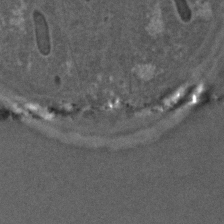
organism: C. elegans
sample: C. elegans embryo